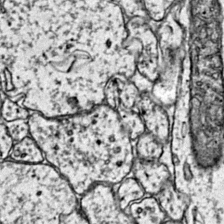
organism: Mouse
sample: Primary visual cortex